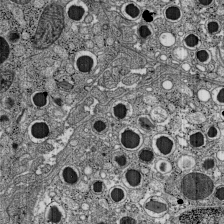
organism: C57BL Mouse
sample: Pancreatic islet